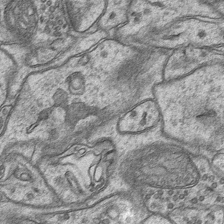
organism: Mouse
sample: CA1 Hippocampus